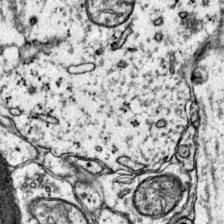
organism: Mouse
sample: Primary visual cortex